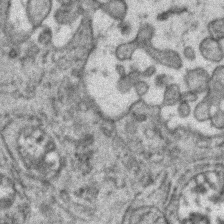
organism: Zebrafish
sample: Zebrafish embryo